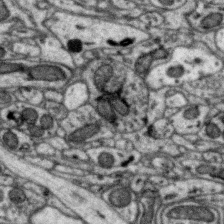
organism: Zebra finch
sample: Brain